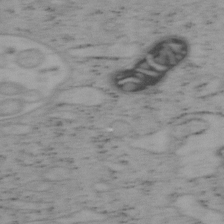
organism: Mouse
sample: OT-I killer T cells with ID8 ovarian cancer cells